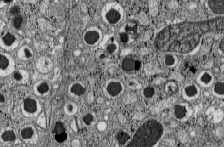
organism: C57BL Mouse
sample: Pancreatic islet